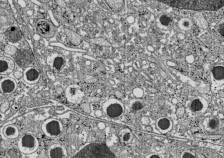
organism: C57BL Mouse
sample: Pancreatic islet